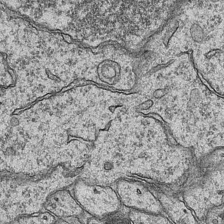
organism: Mouse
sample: CA1 Hippocampus